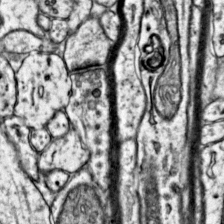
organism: Mouse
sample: Primary visual cortex